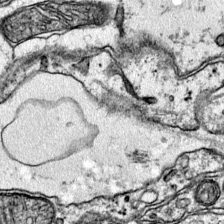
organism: Mouse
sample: Primary visual cortex